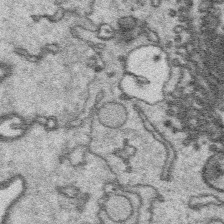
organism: Platynereis dumerilii